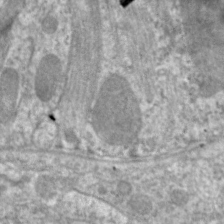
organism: C. elegans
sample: Pharynx